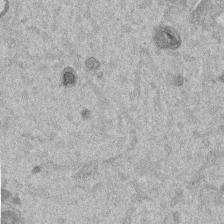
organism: Mouse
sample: Dividing mouse embryo 1 cell stage